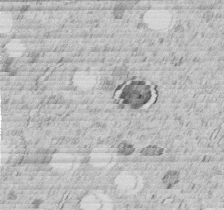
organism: C. elegans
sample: C. elegans embryo early stage